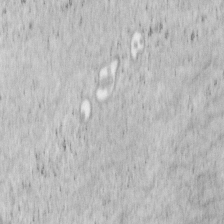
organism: Human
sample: HeLa cells